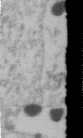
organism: Human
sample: U2-OS cells